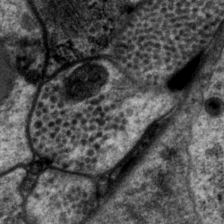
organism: P. pacificus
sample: Pharynx